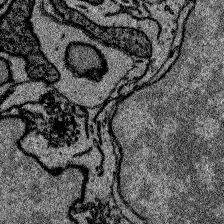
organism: Zebrafish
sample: Larval olfactory bulb